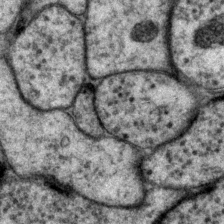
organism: P. pacificus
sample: Pharynx